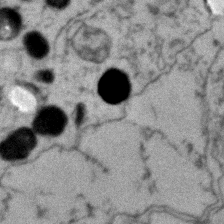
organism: Zebrafish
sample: Zebrafish embryo